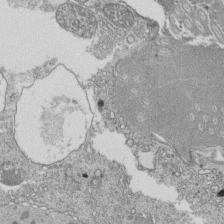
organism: Tetrahymena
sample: Cilia in tetrahymena